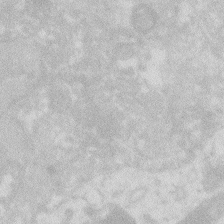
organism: Zebrafish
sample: Macrophage